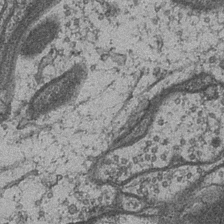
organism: Drosophila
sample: Optic medulla